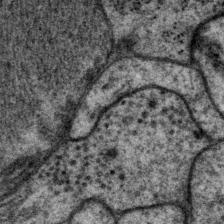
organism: P. pacificus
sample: Pharynx